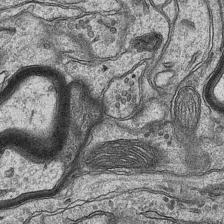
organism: Mouse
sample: CA1 Hippocampus